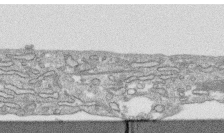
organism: Human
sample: CRL-1474